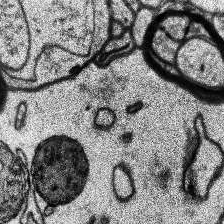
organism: Human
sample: Temporal Lobe